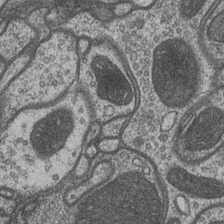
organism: Drosophila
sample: Optic medulla